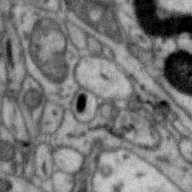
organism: Zebra finch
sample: Brain